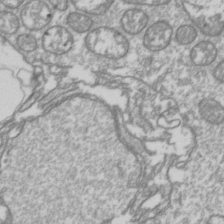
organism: Drosophila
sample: Cell division; meiosis; drosophila spermatocytes